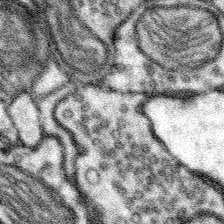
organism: Mouse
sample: Somatosensory cortex neuropil